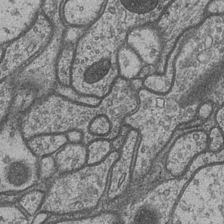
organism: Drosophila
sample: Optic medulla